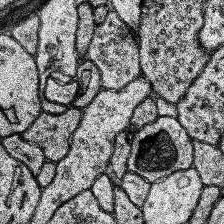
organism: Human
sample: Temporal Lobe